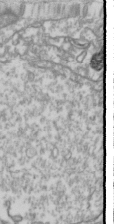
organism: Drosophila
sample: Cell division; meiosis; drosophila spermatocytes